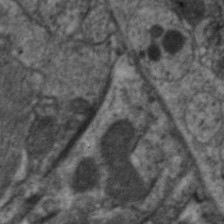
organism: C. elegans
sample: Pharynx